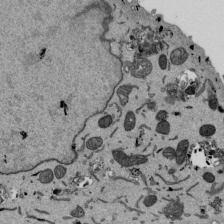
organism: Mouse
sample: ED-1 cell nuclei; centrioles